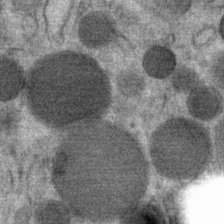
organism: Mouse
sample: Mouse Salivary gland